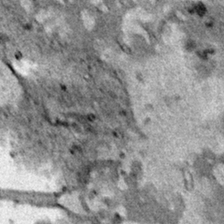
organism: Human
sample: Mitochondria in HCT116 cells